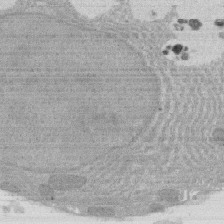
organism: Rat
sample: Salivary granule